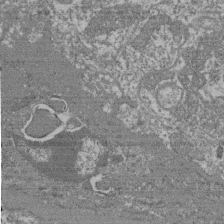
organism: Mouse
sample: Glomerulus